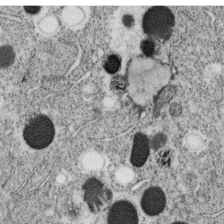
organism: C. elegans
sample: C. elegans oocyte; sperm cells